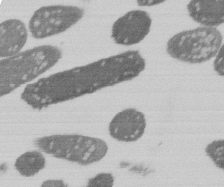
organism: E. coli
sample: Bacterial nucleoid